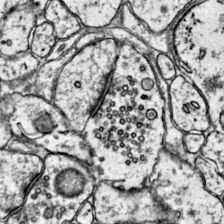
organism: Mouse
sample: Primary visual cortex